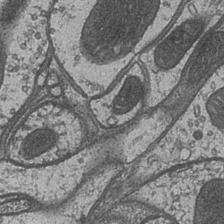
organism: Drosophila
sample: Optic medulla